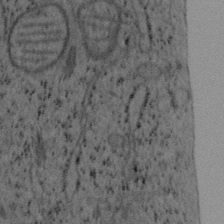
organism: Human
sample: HeLa cells